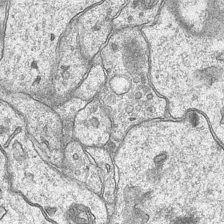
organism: Mouse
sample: CA1 Hippocampus